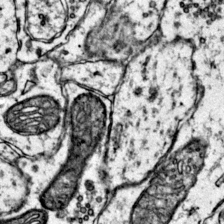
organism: Mouse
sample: Primary visual cortex